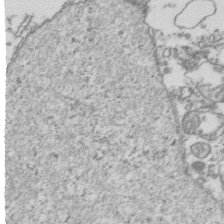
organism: Human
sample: Activated Jurkat CD4+ T cells